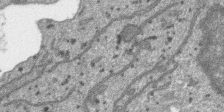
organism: Human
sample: Lung epithelial cells infected with SARS-CoV-2